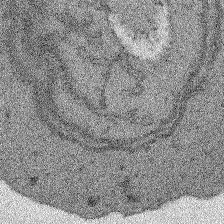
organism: Human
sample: HeLa cells